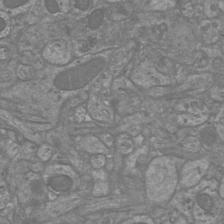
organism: Mouse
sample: Cortical neurons